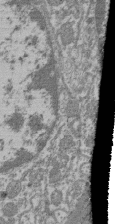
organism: Mouse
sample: Glomerulus